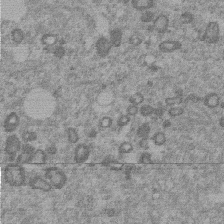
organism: Mouse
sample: Dividing mouse embryo 1 cell stage